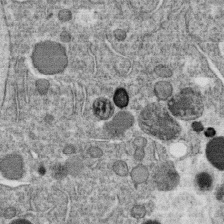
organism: C. elegans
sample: C. elegans oocyte; sperm cells